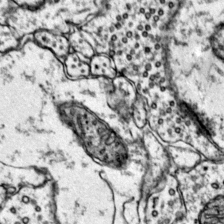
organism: Mouse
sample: Primary visual cortex